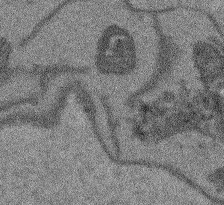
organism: Arabidopsis thaliana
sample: Root tip